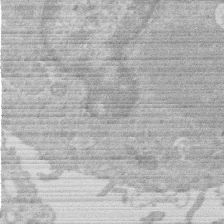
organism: Human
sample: Macrophage cells